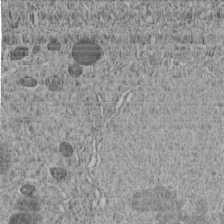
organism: C. elegans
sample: C. elegans embryo early stage